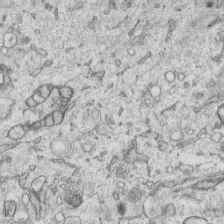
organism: Human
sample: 1205lu cells